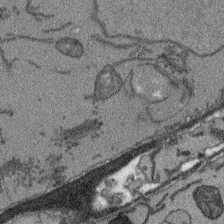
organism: Arabidopsis thaliana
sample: Root tip